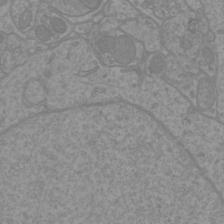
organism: Mouse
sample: Cortical neurons